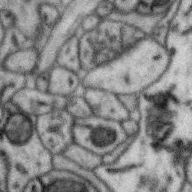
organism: Zebra finch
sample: Brain